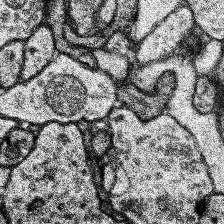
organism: Human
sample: Temporal Lobe